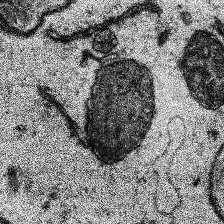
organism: Human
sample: Temporal Lobe